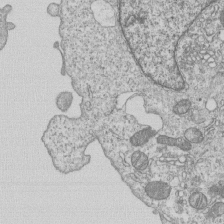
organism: Human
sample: MDA-MB-231 cells